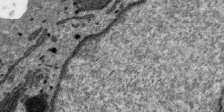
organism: Human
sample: Lung epithelial cells, uninfected (mock) control